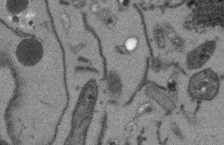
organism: Arabidopsis thaliana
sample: Root tip